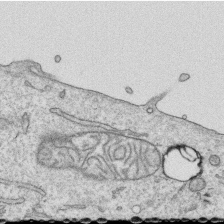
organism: Human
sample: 1205lu cells